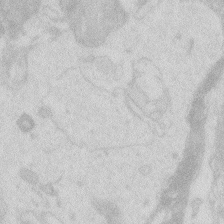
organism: Zebrafish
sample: Macrophage